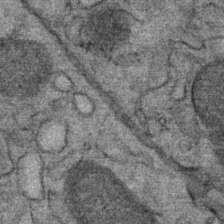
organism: Mouse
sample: Mouse Salivary gland